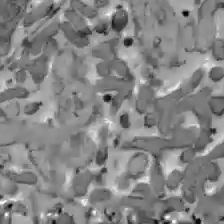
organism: C57BL Mouse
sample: Liver